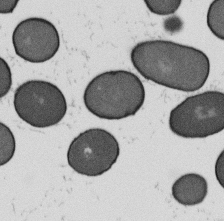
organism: B. subtilis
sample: Bacterial spore